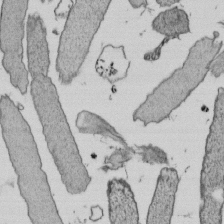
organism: E. coli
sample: Bacterial nucleoid